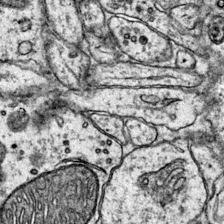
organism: Mouse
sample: Primary visual cortex